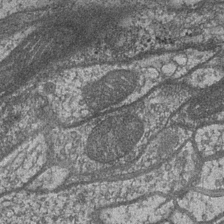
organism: Drosophila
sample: Optic medulla